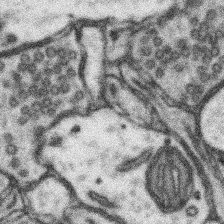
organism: Mouse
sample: Somatosensory cortex neuropil